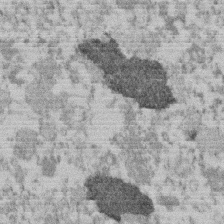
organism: Mouse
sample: Dividing mouse embryo 1 cell stage